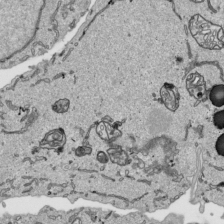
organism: Human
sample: Mitochondria in HCT116 cells